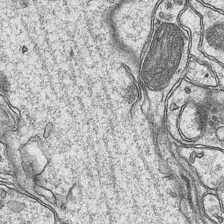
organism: Mouse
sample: CA1 Hippocampus